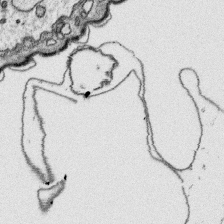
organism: Platynereis dumerilii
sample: Parapodia